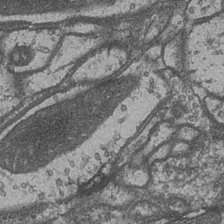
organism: Drosophila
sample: Optic medulla